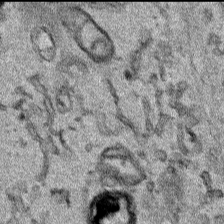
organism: Human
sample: Mitochondria in HCT116 cells